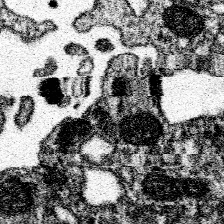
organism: Spongilla lacustris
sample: Neuroid cell